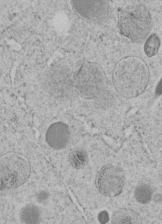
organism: C. elegans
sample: C. elegans embryo early stage